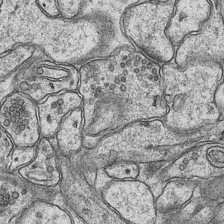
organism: Mouse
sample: CA1 Hippocampus